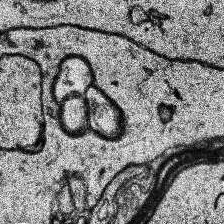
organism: Human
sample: Temporal Lobe